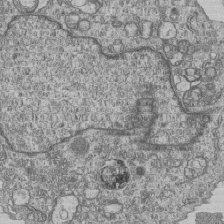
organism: Human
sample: MDA-MB-231 cells